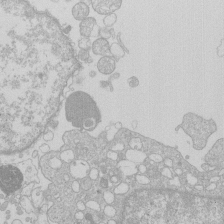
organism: Human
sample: Macrophage cells